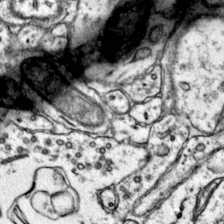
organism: Mouse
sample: Primary visual cortex